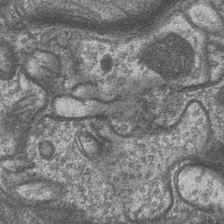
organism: Drosophila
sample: Optic medulla